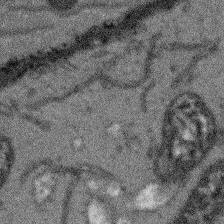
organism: Arabidopsis thaliana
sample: Root tip